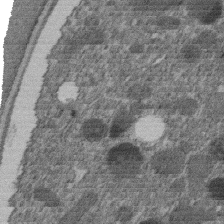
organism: C. elegans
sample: C. elegans embryo early stage